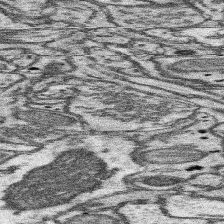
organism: Mouse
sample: Somatosensory cortex neuropil